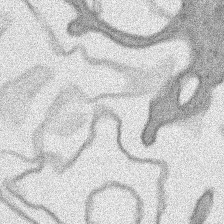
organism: Human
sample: Mitochondria in HCT116 cells